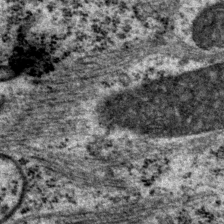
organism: P. pacificus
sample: Pharynx